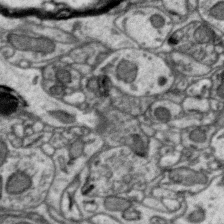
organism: Zebra finch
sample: Brain